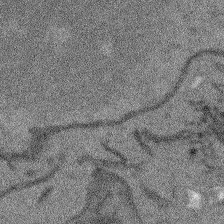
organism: Arabidopsis thaliana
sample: Root tip